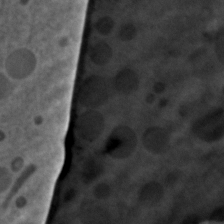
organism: C. elegans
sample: C. elegans embryo